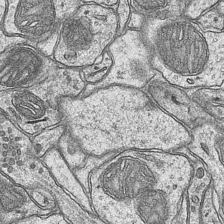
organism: Mouse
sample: CA1 Hippocampus